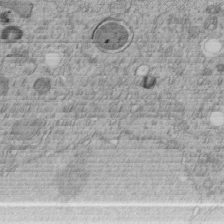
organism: C. elegans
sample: C. elegans embryo early stage